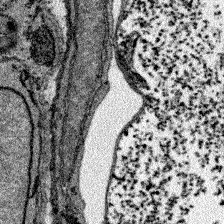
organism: Zebrafish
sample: Larval olfactory bulb